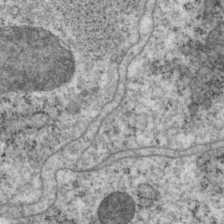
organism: P. pacificus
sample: Pharynx